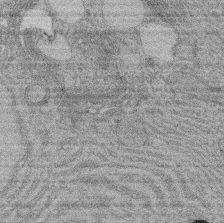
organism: Rat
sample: Salivary granule